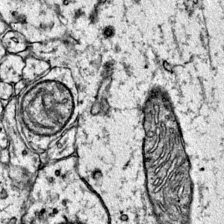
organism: Mouse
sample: Primary visual cortex